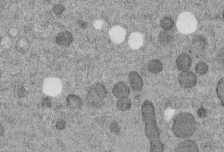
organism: C. elegans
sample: C. elegans embryo early stage